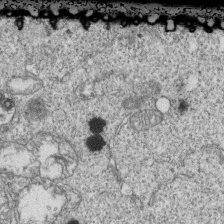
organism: Human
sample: HeLa cell HIV synapse